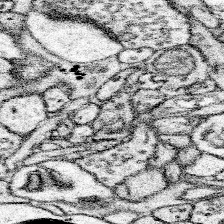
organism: Mouse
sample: Somatosensory cortex neuropil